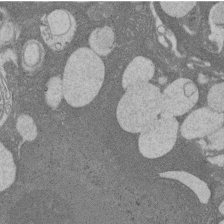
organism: Rat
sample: Salivary granule